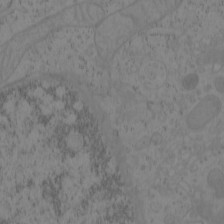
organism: Human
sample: HeLa cells